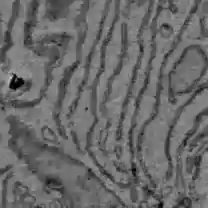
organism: C57BL Mouse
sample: Liver